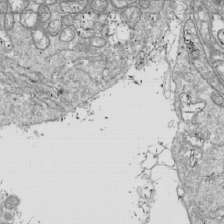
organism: Drosophila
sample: Cell division; meiosis; drosophila spermatocytes